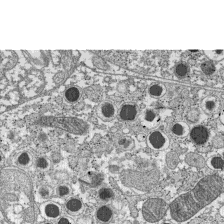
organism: C57BL Mouse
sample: Pancreatic islet